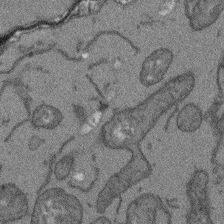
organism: Arabidopsis thaliana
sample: Root tip